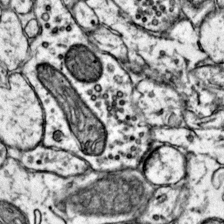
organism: Mouse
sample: Primary visual cortex